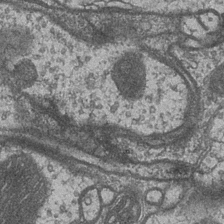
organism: Drosophila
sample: Optic medulla